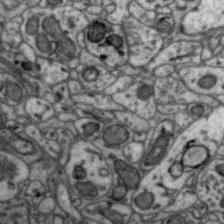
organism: Zebra finch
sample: Brain